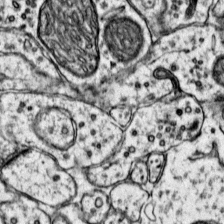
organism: Mouse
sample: Primary visual cortex